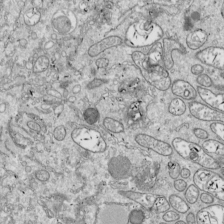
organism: Drosophila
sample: Cell division; meiosis; drosophila spermatocytes